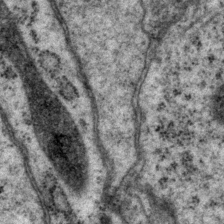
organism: P. pacificus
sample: Pharynx